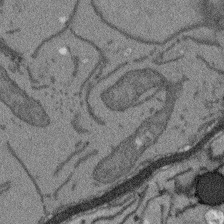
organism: Arabidopsis thaliana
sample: Root tip